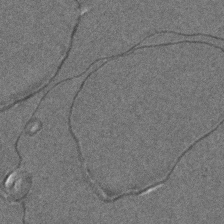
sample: Trachea